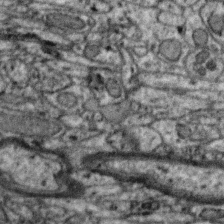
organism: Zebra finch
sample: Brain